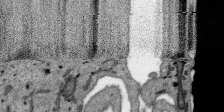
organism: Human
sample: Lung epithelial cells, uninfected (mock) control